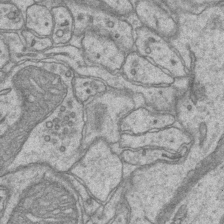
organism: Mouse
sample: CA1 Hippocampus